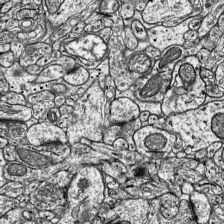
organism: Mouse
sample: Visual Cortex